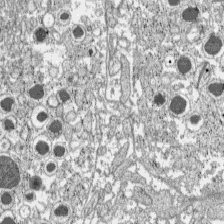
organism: C57BL Mouse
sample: Pancreatic islet